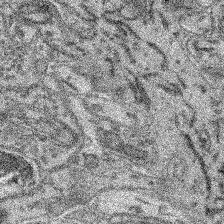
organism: Mouse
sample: Retina